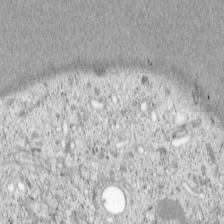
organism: African green monkey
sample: COS-7 cells